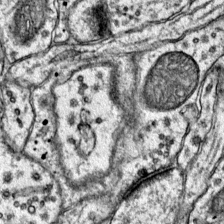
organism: Mouse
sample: Primary visual cortex